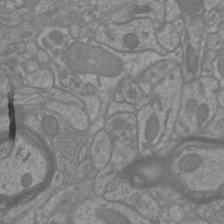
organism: Mouse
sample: Cortical neurons